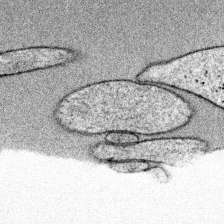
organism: Human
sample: HeLa cells